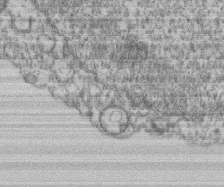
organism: Mouse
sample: T cell stromal cell synapse